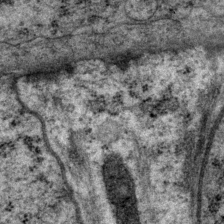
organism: P. pacificus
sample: Pharynx